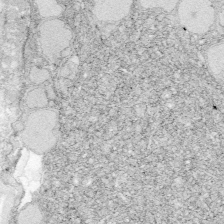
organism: Zebrafish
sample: Whole-Brain